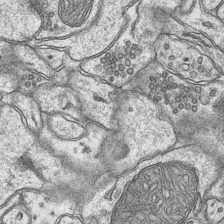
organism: Mouse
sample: CA1 Hippocampus